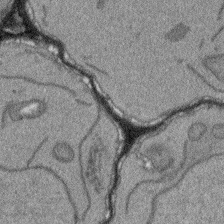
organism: Arabidopsis thaliana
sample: Root tip